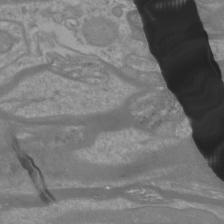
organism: Mouse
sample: Cortical neurons